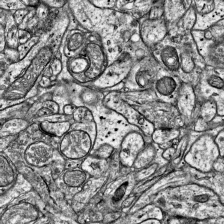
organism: Mouse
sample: Visual Cortex